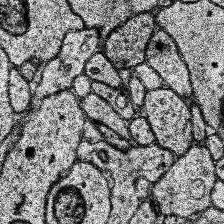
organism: Human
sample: Temporal Lobe